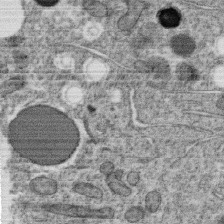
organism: C. elegans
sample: C. elegans oocyte; sperm cells